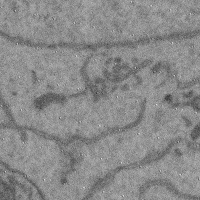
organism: Mouse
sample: Cerebral cortex